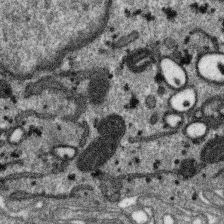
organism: Human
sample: Lung epithelial cells infected with SARS-CoV-2